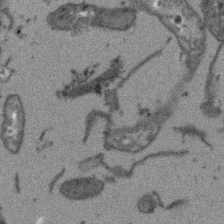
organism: Arabidopsis thaliana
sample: Root tip